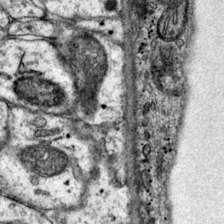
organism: Mouse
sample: Primary visual cortex